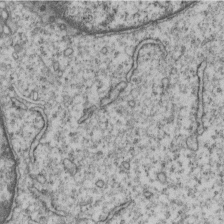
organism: Human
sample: MDA-MB-231 cells